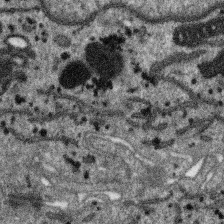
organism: Human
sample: Lung epithelial cells infected with SARS-CoV-2